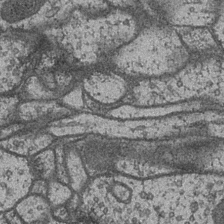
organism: Drosophila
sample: Optic medulla